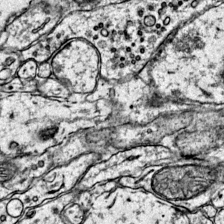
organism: Mouse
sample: Primary visual cortex